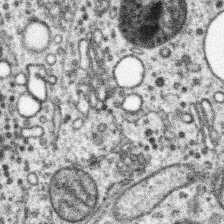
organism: Human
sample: HeLa cells